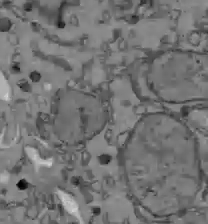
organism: C57BL Mouse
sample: Liver